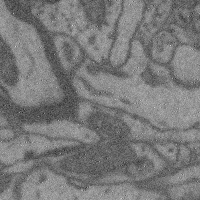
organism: Mouse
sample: Cerebral cortex